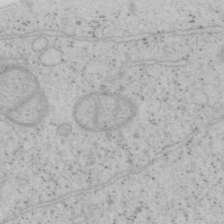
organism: Human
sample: HeLa cells